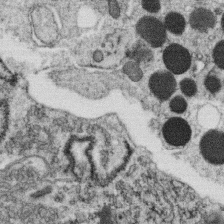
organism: C. elegans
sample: C. elegans oocyte; sperm cells